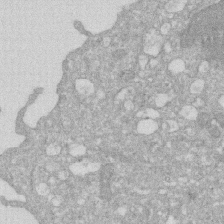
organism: Human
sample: HIV infected U937 cells